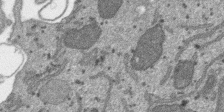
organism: Human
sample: Lung epithelial cells infected with SARS-CoV-2